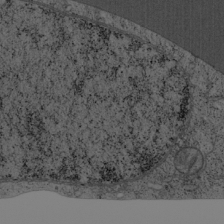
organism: African green monkey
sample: COS-7 cells